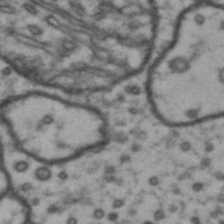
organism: Drosophila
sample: Brain